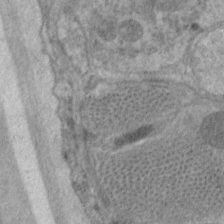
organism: C. elegans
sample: Pharynx